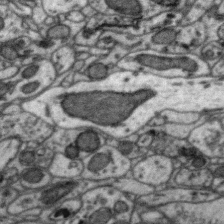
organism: Zebra finch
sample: Brain